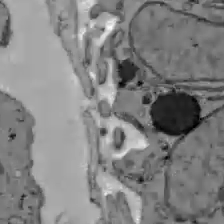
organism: C57BL Mouse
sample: Liver